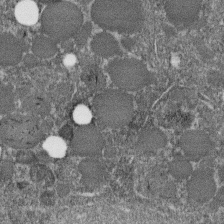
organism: C. elegans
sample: C. elegans embryo early stage